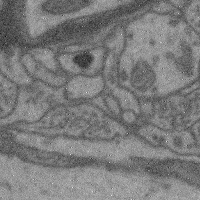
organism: Mouse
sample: Cerebral cortex